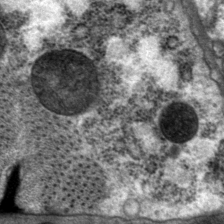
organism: P. pacificus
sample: Pharynx